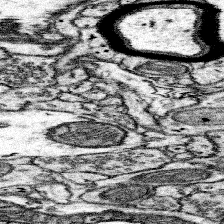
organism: Mouse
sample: Somatosensory cortex neuropil